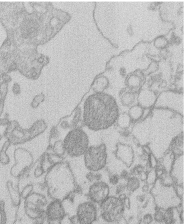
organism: Human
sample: Macrophage cells